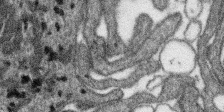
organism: Human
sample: Lung epithelial cells infected with SARS-CoV-2